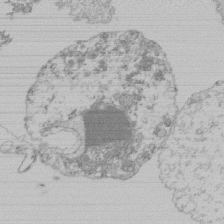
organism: Mouse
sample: Activated Pmel transgenic CD8+ T Cells